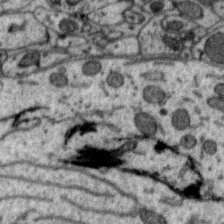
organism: Zebra finch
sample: Brain